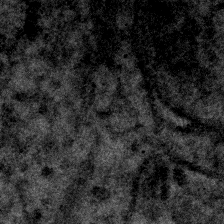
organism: Human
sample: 1205lu cells